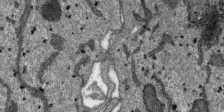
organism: Human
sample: Lung epithelial cells, uninfected (mock) control